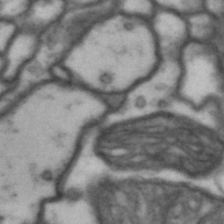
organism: Drosophila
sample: Brain